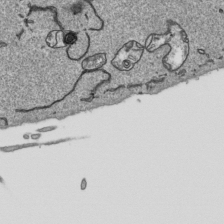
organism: Human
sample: Mitochondria in HCT116 cells